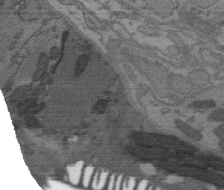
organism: C. elegans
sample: AFD neurons C. elegans